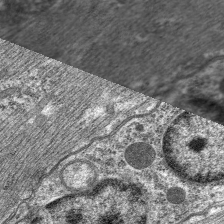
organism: C. elegans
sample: Pharynx